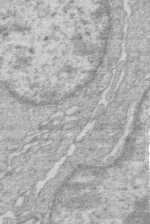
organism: Human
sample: Macrophage cells